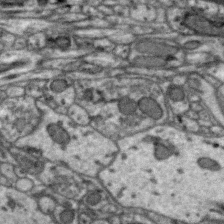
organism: Zebra finch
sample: Brain